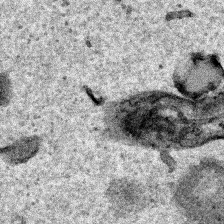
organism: Human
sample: Mitochondria in HCT116 cells